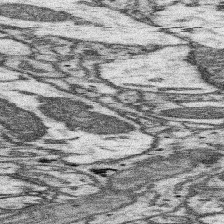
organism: Mouse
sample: Somatosensory cortex neuropil